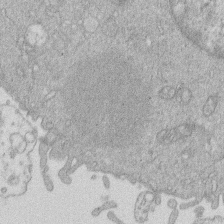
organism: Human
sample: Macrophage cells